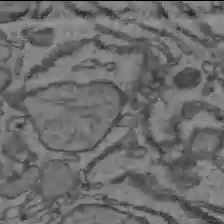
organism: C57BL Mouse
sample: Liver